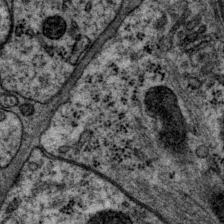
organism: P. pacificus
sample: Pharynx